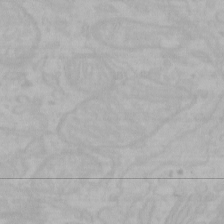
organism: Mouse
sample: Choroid plexus